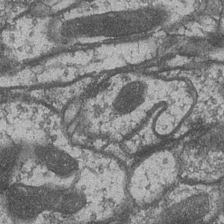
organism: Drosophila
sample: Optic medulla